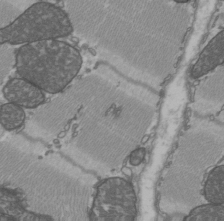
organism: C57BL Mouse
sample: Heart